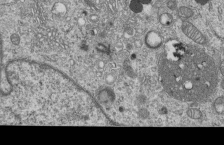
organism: Human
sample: MDA-MB-231 cells